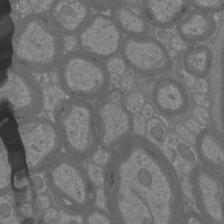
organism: Mouse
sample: Cortical neurons